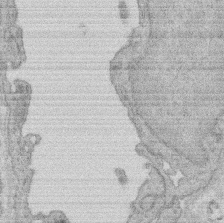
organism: Rat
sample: Salivary granule